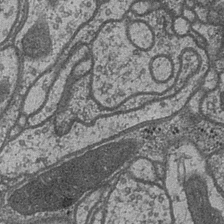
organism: Drosophila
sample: Optic medulla